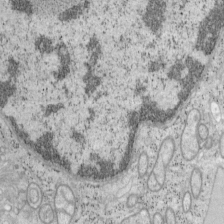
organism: Mouse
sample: OT-I killer T cells with ID8 ovarian cancer cells